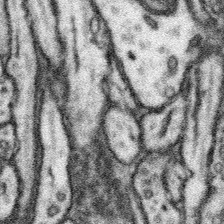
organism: Mouse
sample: Somatosensory cortex neuropil